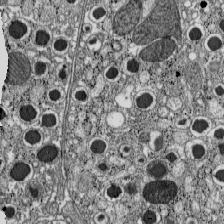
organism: C57BL Mouse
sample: Pancreatic islet